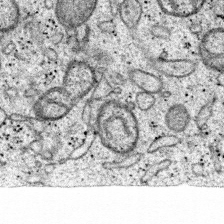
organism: Human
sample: HeLa cells